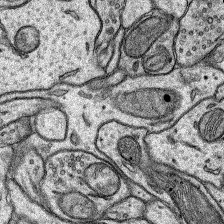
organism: Rat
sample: Hippocampus